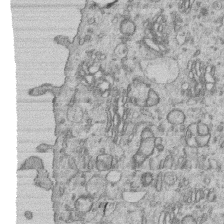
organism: Human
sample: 1205lu cells